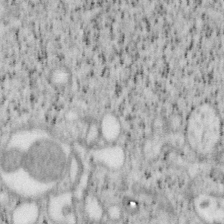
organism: Mouse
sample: OT-I killer T cells with ID8 ovarian cancer cells